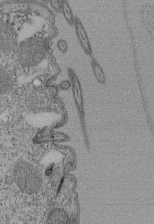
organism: Tetrahymena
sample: Cilia in tetrahymena